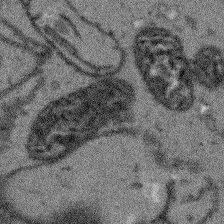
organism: Arabidopsis thaliana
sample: Root tip